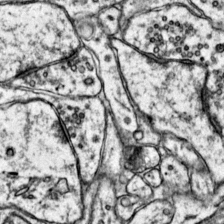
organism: Mouse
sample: Primary visual cortex